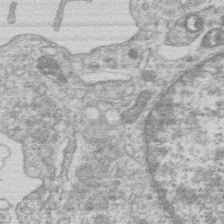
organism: Human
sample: Macrophage cells